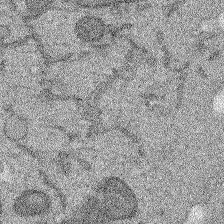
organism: Human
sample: HeLa cells